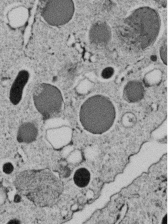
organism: C. elegans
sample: C. elegans embryo early stage